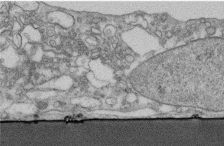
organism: Human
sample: Centriole in fibroblast cells